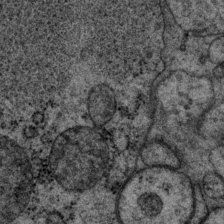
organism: P. pacificus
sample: Pharynx